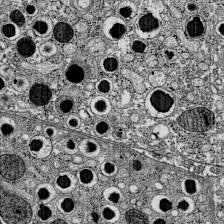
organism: C57BL Mouse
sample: Pancreatic islet